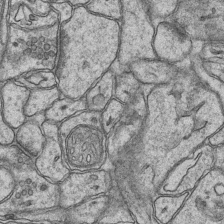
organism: Mouse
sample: CA1 Hippocampus